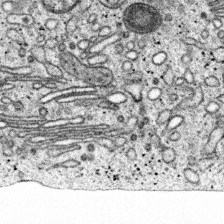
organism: Human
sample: HeLa cells